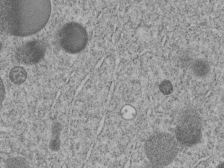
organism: C. elegans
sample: C. elegans embryo early stage